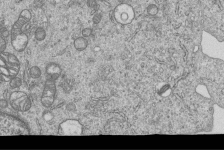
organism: Human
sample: MDA-MB-231 cells